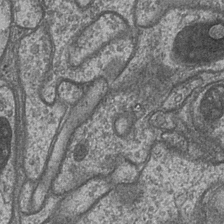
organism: Drosophila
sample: Optic medulla